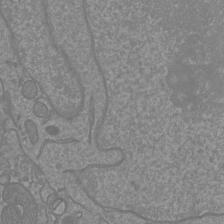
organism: Mouse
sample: Cortical neurons